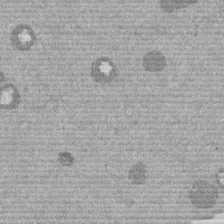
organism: Mouse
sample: Dividing mouse embryo 1 cell stage